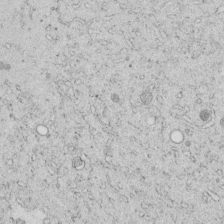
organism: C. elegans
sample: C. elegans embryo early stage